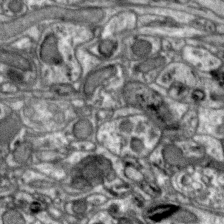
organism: Zebra finch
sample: Brain